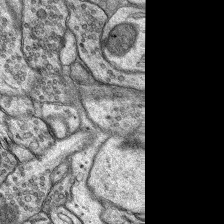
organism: Rat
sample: Hippocampus